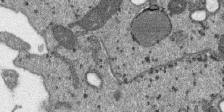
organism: Human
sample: Lung epithelial cells infected with SARS-CoV-2